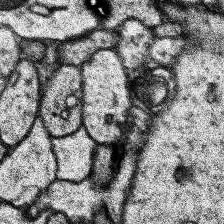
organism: Human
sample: Temporal Lobe